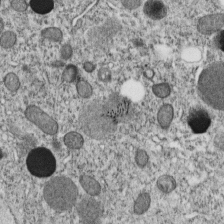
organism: C. elegans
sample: C. elegans embryo early stage